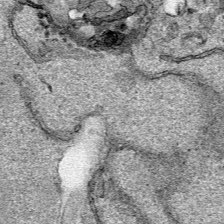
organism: Human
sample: Mitochondria in HCT116 cells